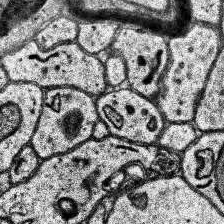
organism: Human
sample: Temporal Lobe